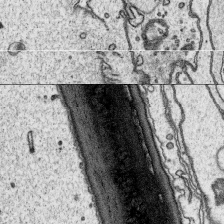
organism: Platynereis dumerilii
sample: Parapodia